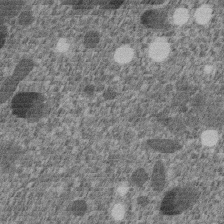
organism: C. elegans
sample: C. elegans embryo early stage